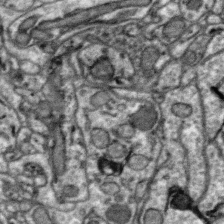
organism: Zebra finch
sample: Brain